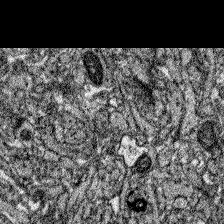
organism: Zebrafish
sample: Larval olfactory bulb